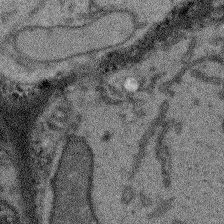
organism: Arabidopsis thaliana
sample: Root tip